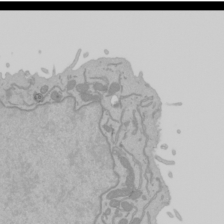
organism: Mouse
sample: Cancer cell death in ED-1 cells